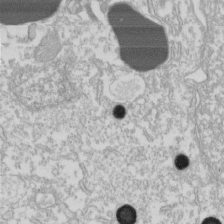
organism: Xenopus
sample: Cilia; centrioles in frog embryo cells